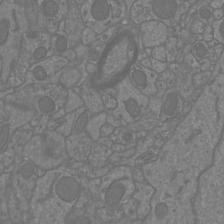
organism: Mouse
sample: Cortical neurons